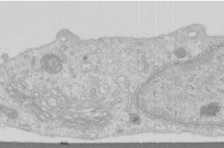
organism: Human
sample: Centriole in RPE cells